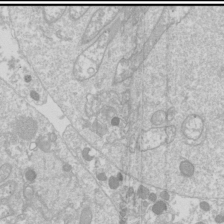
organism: Drosophila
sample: Cell division; meiosis; drosophila spermatocytes